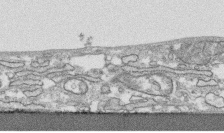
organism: Human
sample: CRL-1474